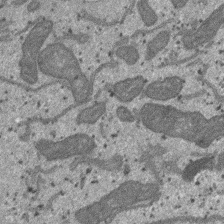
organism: Human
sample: Lung epithelial cells infected with SARS-CoV-2